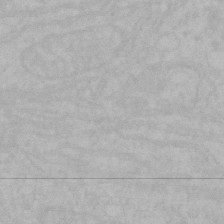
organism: Mouse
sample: Choroid plexus